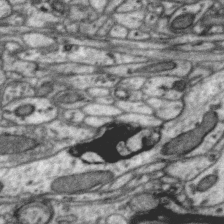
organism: Zebra finch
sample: Brain